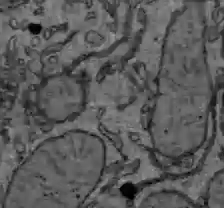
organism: C57BL Mouse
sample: Liver